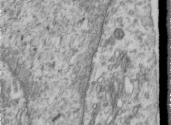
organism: Human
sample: Centriole in RPE cells